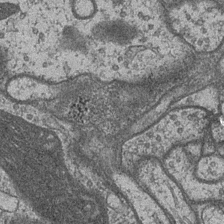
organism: Drosophila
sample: Optic medulla